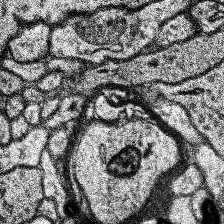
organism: Human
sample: Temporal Lobe